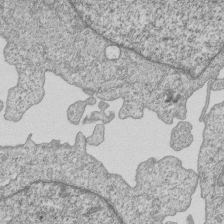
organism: Human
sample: MDA-MB-231 cells